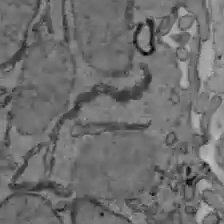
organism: C57BL Mouse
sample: Liver